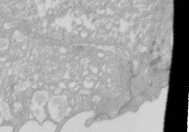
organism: Xenopus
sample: Cilia; centrioles in frog embryo cells